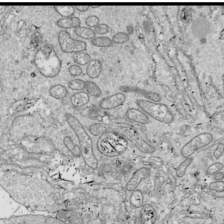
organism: Drosophila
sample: Cell division; meiosis; drosophila spermatocytes